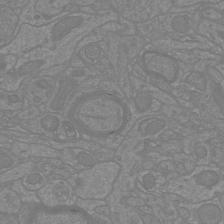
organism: Mouse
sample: Cortical neurons